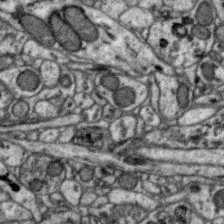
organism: Zebra finch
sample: Brain